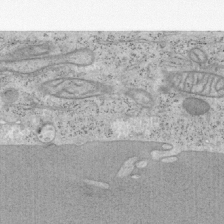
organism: Human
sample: HeLa cells